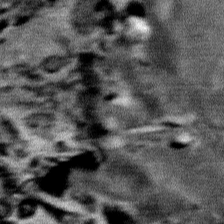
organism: Mouse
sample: Mouse Salivary gland